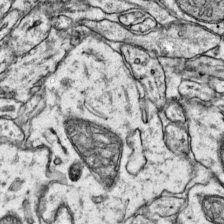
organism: Mouse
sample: Primary visual cortex